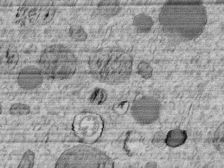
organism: C. elegans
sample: C. elegans embryo early stage